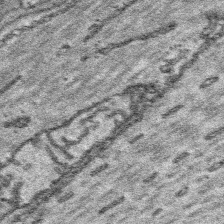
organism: Platynereis dumerilii